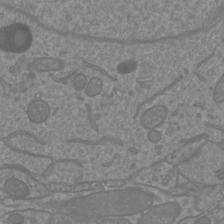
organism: Mouse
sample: Cortical neurons